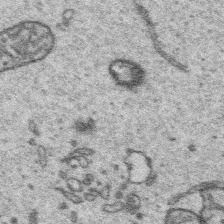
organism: Platynereis dumerilii